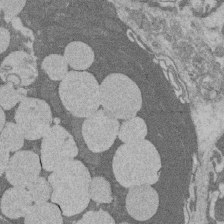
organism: Rat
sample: Salivary granule